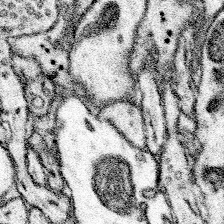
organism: Mouse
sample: Somatosensory cortex neuropil